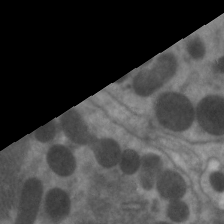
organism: C. elegans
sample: Pharynx